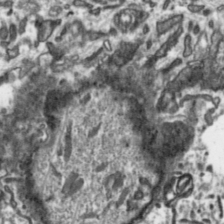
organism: Toxoplasma gondii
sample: Parasites in a vacuole inside a host cell